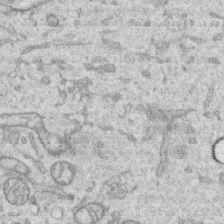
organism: Human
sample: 1205lu cells